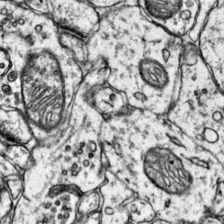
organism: Mouse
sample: Primary visual cortex